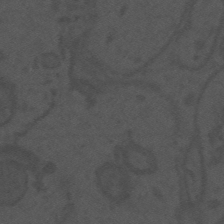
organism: Mouse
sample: Suprachiasmatic nucleus